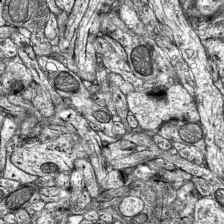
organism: Mouse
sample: Visual Cortex